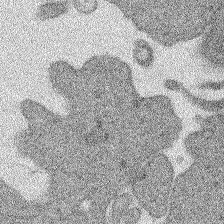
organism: Human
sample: HeLa cells